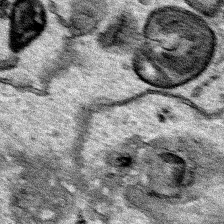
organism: Human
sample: Mitochondria in HCT116 cells